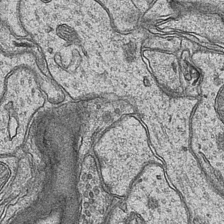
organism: Mouse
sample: CA1 Hippocampus